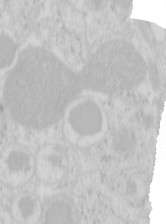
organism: Mouse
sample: Pancreas